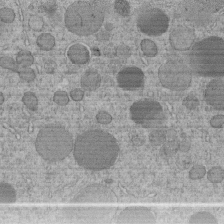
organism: C. elegans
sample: C. elegans embryo early stage